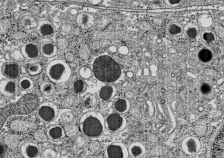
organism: C57BL Mouse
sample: Pancreatic islet